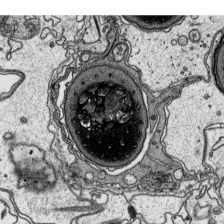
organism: Platynereis dumerilii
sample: Parapodia